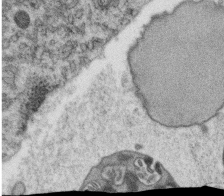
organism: C. elegans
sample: C. elegans oocyte; sperm cells